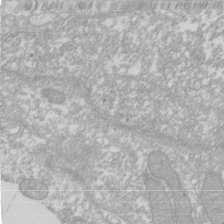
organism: Xenopus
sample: Cilia; centrioles in frog embryo cells